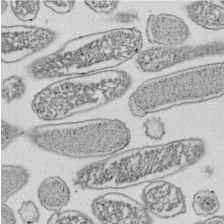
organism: E. coli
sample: Bacterial nucleoid